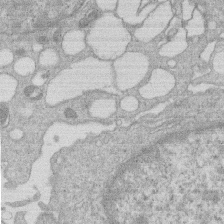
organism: Human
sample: Macrophage cells